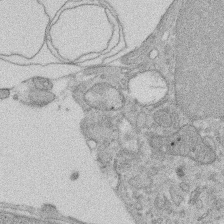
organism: Rat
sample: Salivary granule